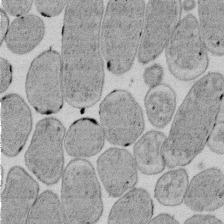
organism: E. coli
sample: Bacterial nucleoid